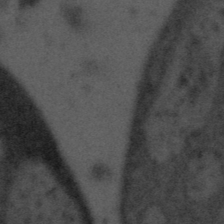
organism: Tuwongella immobilis